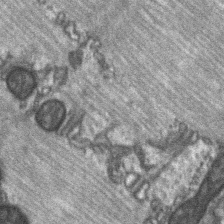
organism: C57BL Mouse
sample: Soleus